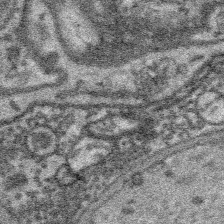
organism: Platynereis dumerilii